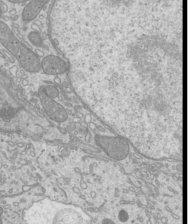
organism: Mouse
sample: Cilia; mouse epididymis